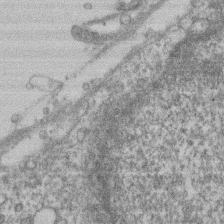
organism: Mouse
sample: T cell stromal cell synapse